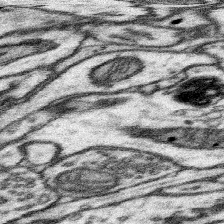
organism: Mouse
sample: Somatosensory cortex neuropil